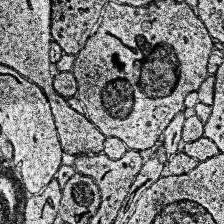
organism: Human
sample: Temporal Lobe